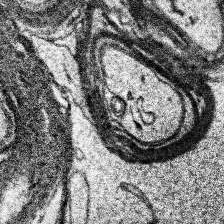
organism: Human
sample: Temporal Lobe